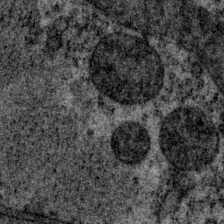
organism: P. pacificus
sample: Pharynx